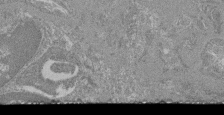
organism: Mouse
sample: Glomerulus